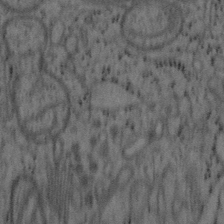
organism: Human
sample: HeLa cells